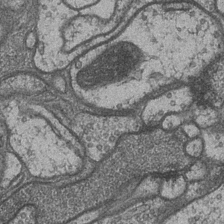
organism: Drosophila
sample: Optic medulla